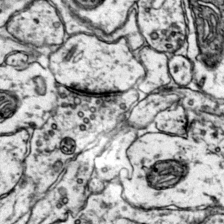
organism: Mouse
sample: Primary visual cortex